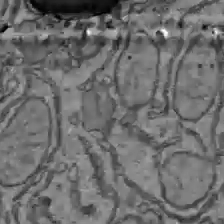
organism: C57BL Mouse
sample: Liver